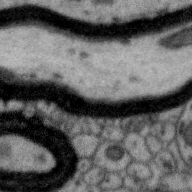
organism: Zebra finch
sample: Brain